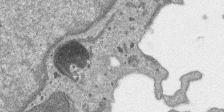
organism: Human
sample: Lung epithelial cells infected with SARS-CoV-2